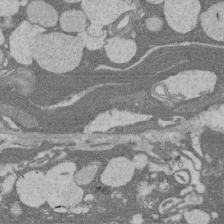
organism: Rat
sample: Salivary granule